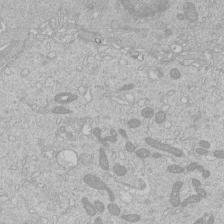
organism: Human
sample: Macrophage cells